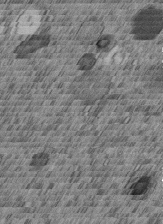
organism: C. elegans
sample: C. elegans embryo early stage